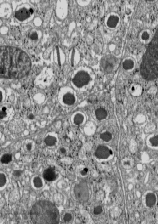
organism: C57BL Mouse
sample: Pancreatic islet